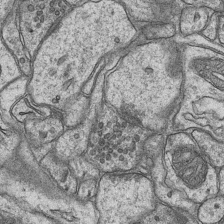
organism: Mouse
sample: CA1 Hippocampus